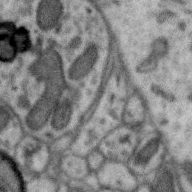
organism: Zebra finch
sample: Brain